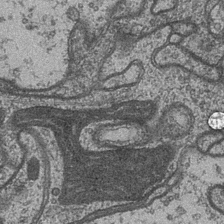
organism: Drosophila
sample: Optic medulla